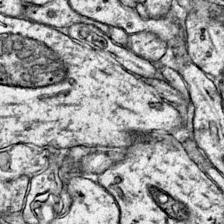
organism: Mouse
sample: Primary visual cortex